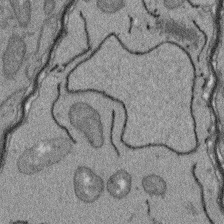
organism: Arabidopsis thaliana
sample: Root tip